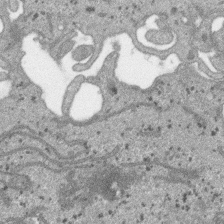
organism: Human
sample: Lung epithelial cells infected with SARS-CoV-2